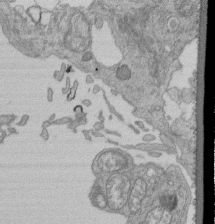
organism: Human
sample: Retinal organoid Rod and Cone cells